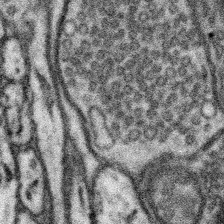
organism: Mouse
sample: Somatosensory cortex neuropil